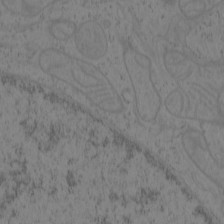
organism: Human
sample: HeLa cells